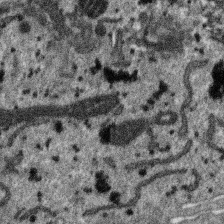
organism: Human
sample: Lung epithelial cells infected with SARS-CoV-2